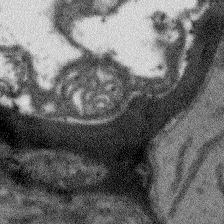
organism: Arabidopsis thaliana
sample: Root tip